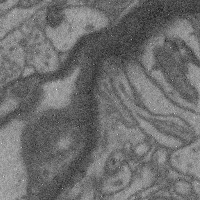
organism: Mouse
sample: Cerebral cortex